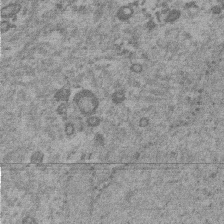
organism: Mouse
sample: Dividing mouse embryo 1 cell stage